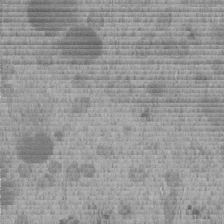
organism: C. elegans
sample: C. elegans embryo early stage